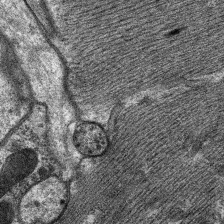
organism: C. elegans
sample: Pharynx